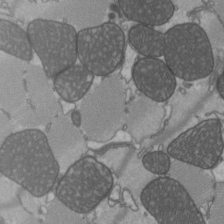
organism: C57BL Mouse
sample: Heart